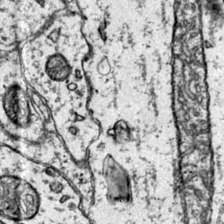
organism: Mouse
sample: Primary visual cortex